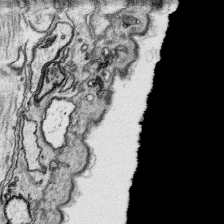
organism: Platynereis dumerilii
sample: Parapodia